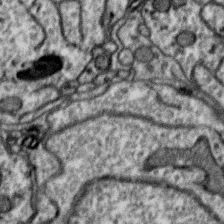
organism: Zebra finch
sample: Brain